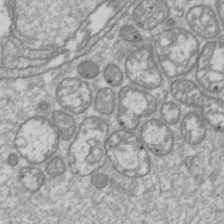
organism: Drosophila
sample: Cell division; meiosis; drosophila spermatocytes